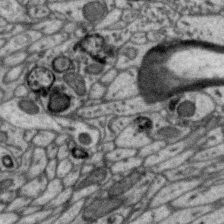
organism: Zebra finch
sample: Brain